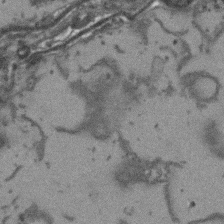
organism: Arabidopsis thaliana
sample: Root tip